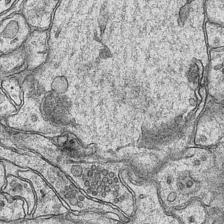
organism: Mouse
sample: CA1 Hippocampus